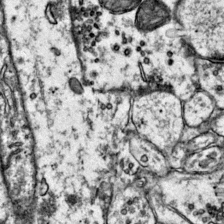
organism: Mouse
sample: Primary visual cortex